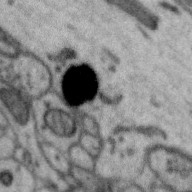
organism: Zebra finch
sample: Brain